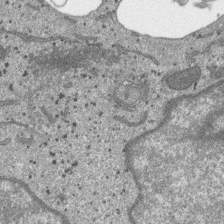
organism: Human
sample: Lung epithelial cells infected with SARS-CoV-2